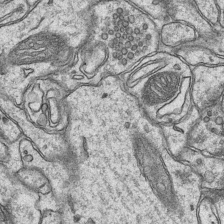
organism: Mouse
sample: CA1 Hippocampus